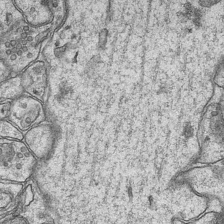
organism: Mouse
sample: CA1 Hippocampus